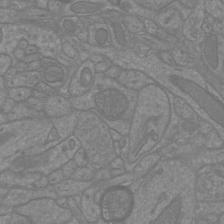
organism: Mouse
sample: Cortical neurons